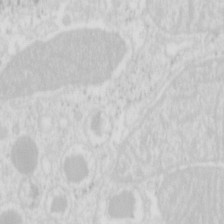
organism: Mouse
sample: Pancreas